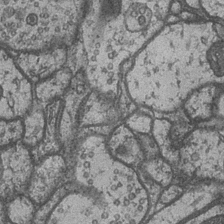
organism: Drosophila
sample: Optic medulla